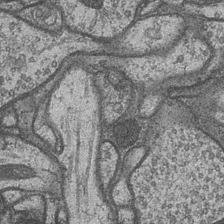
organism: Drosophila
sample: Optic medulla